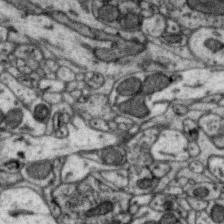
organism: Zebra finch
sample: Brain